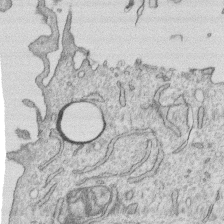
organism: Human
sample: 1205lu cells